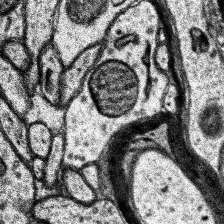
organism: Human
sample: Temporal Lobe